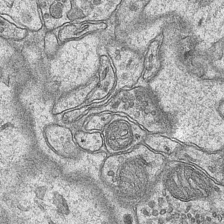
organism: Mouse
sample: CA1 Hippocampus